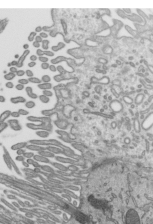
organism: Mouse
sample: Mouse epididymis efferent ductule cilia